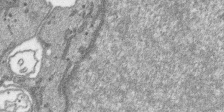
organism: Human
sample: Lung epithelial cells infected with SARS-CoV-2